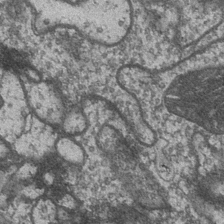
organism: Drosophila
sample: Optic medulla